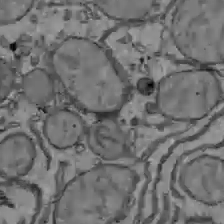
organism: C57BL Mouse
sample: Liver